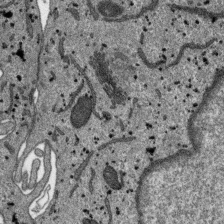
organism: Human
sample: Lung epithelial cells, uninfected (mock) control